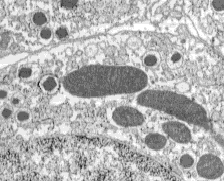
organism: C57BL Mouse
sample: Pancreatic islet